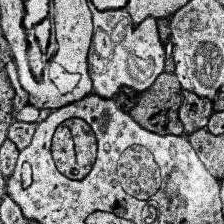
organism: Human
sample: Temporal Lobe